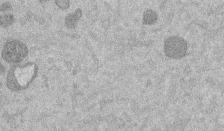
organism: Mouse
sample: Dividing mouse embryo 1 cell stage